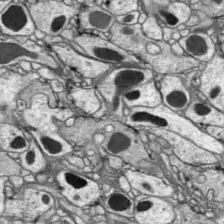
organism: Drosophila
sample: Optic lobe